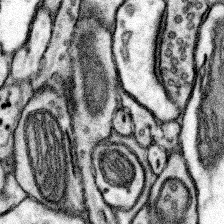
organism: Mouse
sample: Somatosensory cortex neuropil